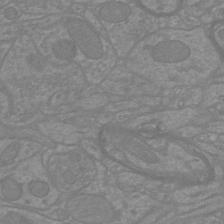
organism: Mouse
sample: Cortical neurons